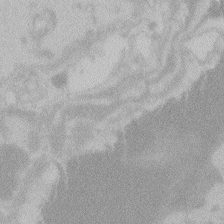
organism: Zebrafish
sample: Macrophage infected with Toxoplasma gondii